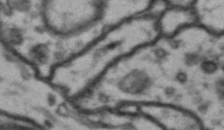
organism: Drosophila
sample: Brain